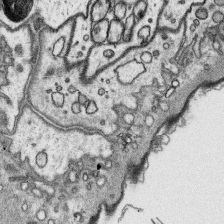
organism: Platynereis dumerilii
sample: Parapodia